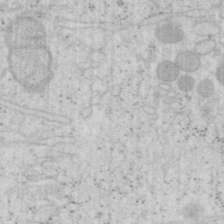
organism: Human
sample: HeLa cells